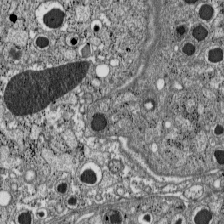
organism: C57BL Mouse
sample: Pancreatic islet